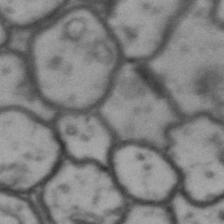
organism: Drosophila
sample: Brain